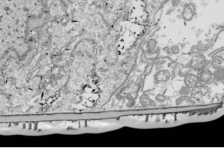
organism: Drosophila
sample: Cell division; meiosis; drosophila spermatocytes